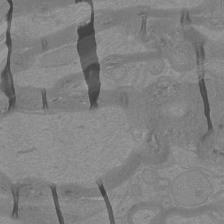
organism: Mouse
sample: Cortical neurons